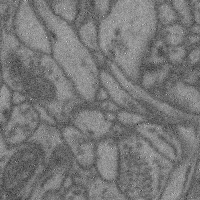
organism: Mouse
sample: Cerebral cortex